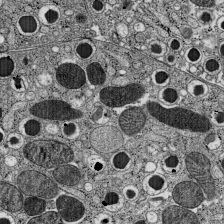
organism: C57BL Mouse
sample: Pancreatic islet